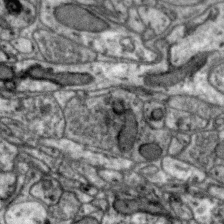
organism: Zebra finch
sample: Brain